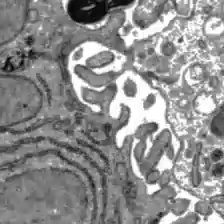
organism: C57BL Mouse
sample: Liver